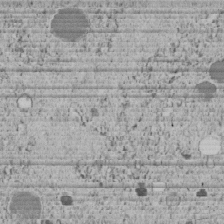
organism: C. elegans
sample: C. elegans embryo early stage